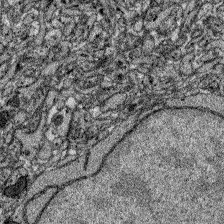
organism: Zebrafish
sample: Larval olfactory bulb